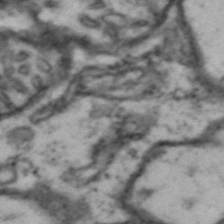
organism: Drosophila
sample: Brain